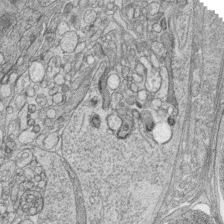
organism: Zebrafish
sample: synaptic ribbons in rod cells and cone cells